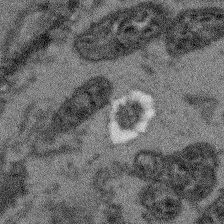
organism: Arabidopsis thaliana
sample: Root tip